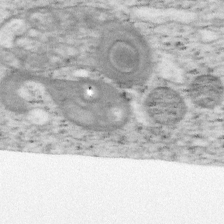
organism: Mouse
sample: OT-I killer T cells with ID8 ovarian cancer cells